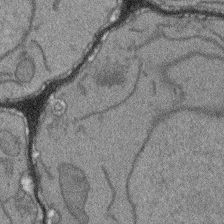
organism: Arabidopsis thaliana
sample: Root tip